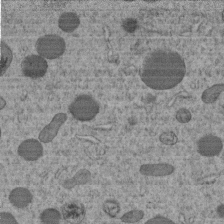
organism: C. elegans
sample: C. elegans embryo early stage